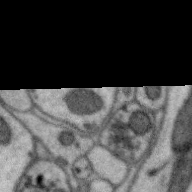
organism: Zebra finch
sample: Brain